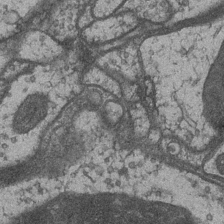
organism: Drosophila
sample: Optic medulla